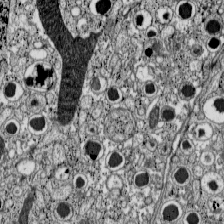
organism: C57BL Mouse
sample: Pancreatic islet